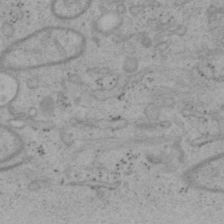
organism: Human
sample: HeLa cells